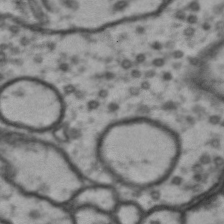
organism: Drosophila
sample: Brain